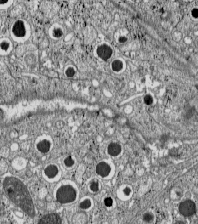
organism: C57BL Mouse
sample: Pancreatic islet